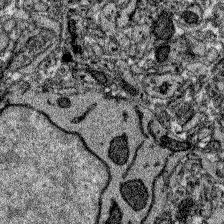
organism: Zebrafish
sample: Larval olfactory bulb